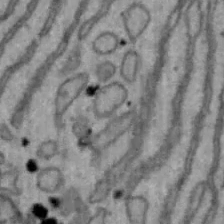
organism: Mouse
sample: Liver